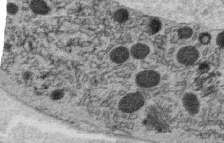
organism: C. elegans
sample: C. elegans oocyte; sperm cells